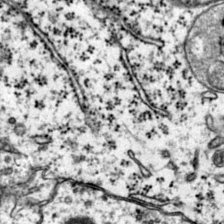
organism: Mouse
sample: Primary visual cortex